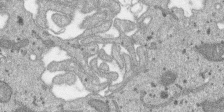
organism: Human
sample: Lung epithelial cells infected with SARS-CoV-2